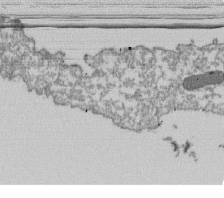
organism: Dictyostelium discoideum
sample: Dictyostelium multivesicular bodies